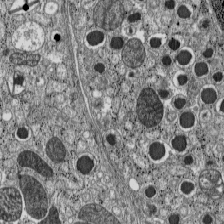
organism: C57BL Mouse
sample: Pancreatic islet